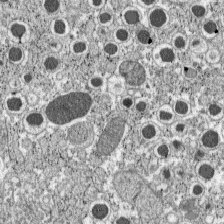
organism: C57BL Mouse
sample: Pancreatic islet